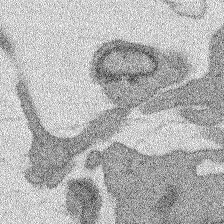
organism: Human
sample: HeLa cells